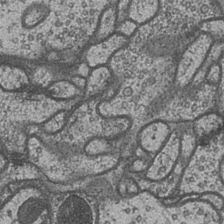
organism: Drosophila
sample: Optic medulla